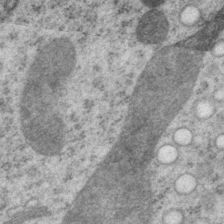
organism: P. pacificus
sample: Pharynx